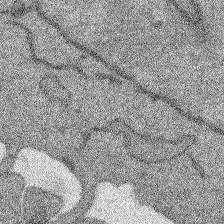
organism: Human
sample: HeLa cells